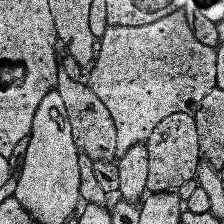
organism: Human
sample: Temporal Lobe